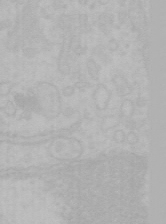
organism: Mouse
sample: Choroid plexus